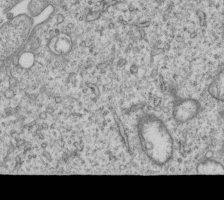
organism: Human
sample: MDA-MB-231 cells